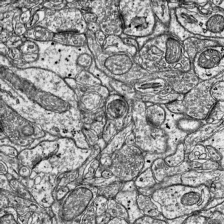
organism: Mouse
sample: Visual Cortex